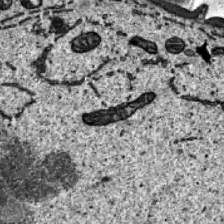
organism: Human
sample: HeLa cells